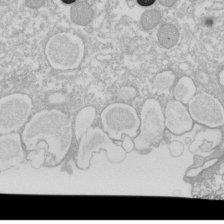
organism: Xenopus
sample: Cilia; centrioles in frog embryo cells